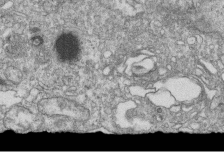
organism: Human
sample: HeLa cell HIV synapse